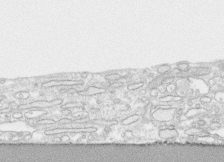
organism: Human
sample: CRL-1474